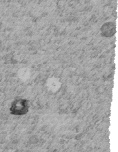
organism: C. elegans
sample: C. elegans embryo early stage